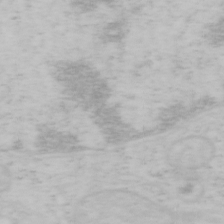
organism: Mouse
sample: OT-I killer T cells with ID8 ovarian cancer cells